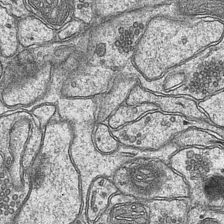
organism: Mouse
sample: CA1 Hippocampus